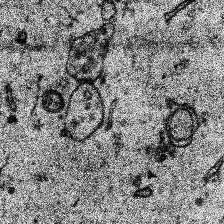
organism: Human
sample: Temporal Lobe